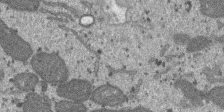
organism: Human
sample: Lung epithelial cells infected with SARS-CoV-2